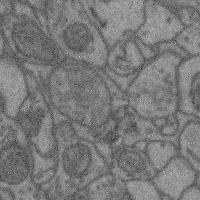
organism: Mouse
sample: Cerebral cortex